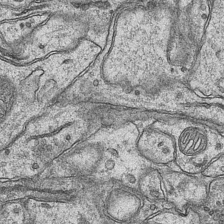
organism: Mouse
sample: CA1 Hippocampus